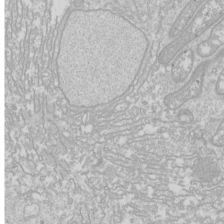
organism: Drosophila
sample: Cell division; meiosis; drosophila spermatocytes